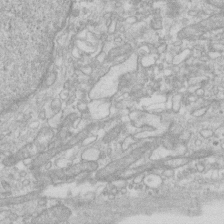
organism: Human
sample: Fibroblast cells